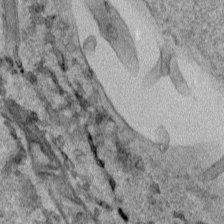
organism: Human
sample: Mitochondria in HCT116 cells